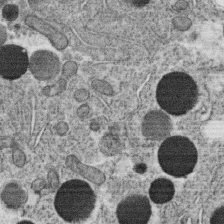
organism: C. elegans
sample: C. elegans oocyte; sperm cells